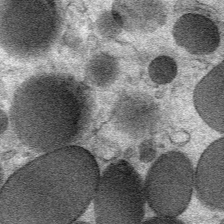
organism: Mouse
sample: Mouse Salivary gland